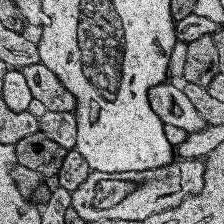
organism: Human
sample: Temporal Lobe